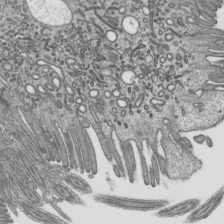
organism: Mouse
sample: Mouse epididymis efferent ductule cilia